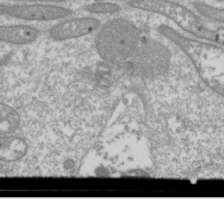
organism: Drosophila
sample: Cell division; meiosis; drosophila spermatocytes